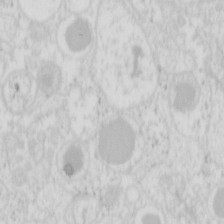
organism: Mouse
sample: Pancreas